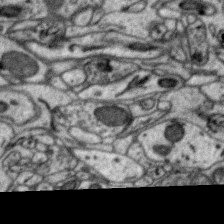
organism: Zebra finch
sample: Brain